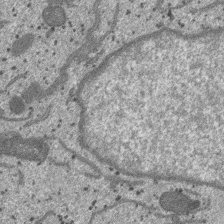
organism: Human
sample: Lung epithelial cells infected with SARS-CoV-2